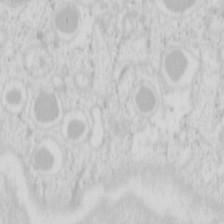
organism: Mouse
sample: Pancreas